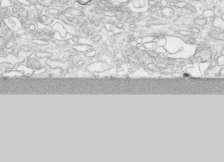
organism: Human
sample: CRL-1474